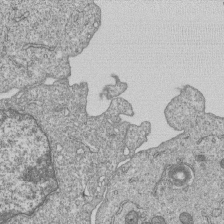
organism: Human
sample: MDA-MB-231 cells